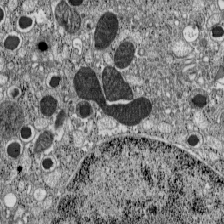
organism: C57BL Mouse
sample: Pancreatic islet